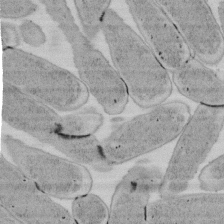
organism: E. coli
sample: Bacterial nucleoid